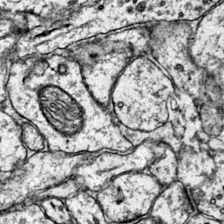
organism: Mouse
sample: Primary visual cortex